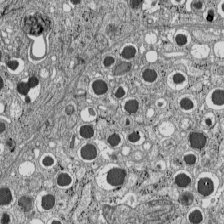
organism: C57BL Mouse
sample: Pancreatic islet